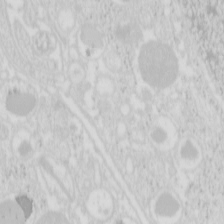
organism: Mouse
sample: Pancreas